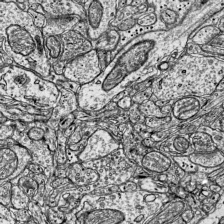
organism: Mouse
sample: Visual Cortex